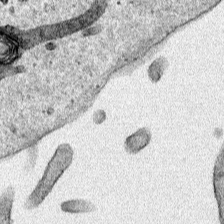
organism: Human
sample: Mitochondria in HCT116 cells